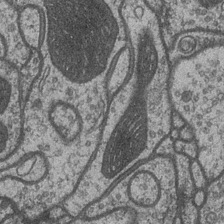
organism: Drosophila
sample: Optic medulla